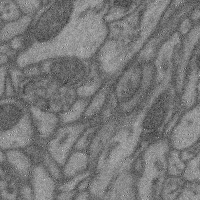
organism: Mouse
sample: Cerebral cortex